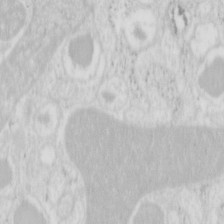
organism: Mouse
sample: Pancreas